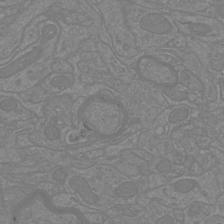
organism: Mouse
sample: Cortical neurons